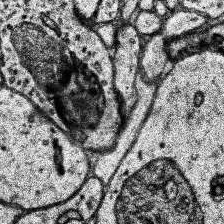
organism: Human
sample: Temporal Lobe